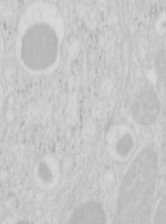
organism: Mouse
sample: Pancreas